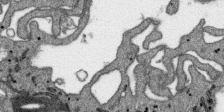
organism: Human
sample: Lung epithelial cells, uninfected (mock) control